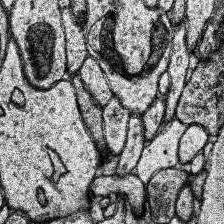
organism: Human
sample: Temporal Lobe